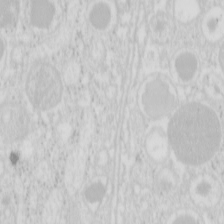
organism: Mouse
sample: Pancreas